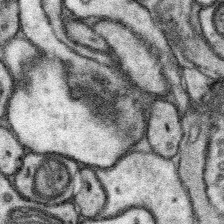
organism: Mouse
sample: Somatosensory cortex neuropil